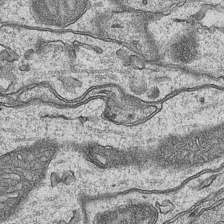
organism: Mouse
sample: CA1 Hippocampus